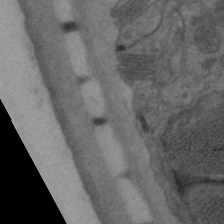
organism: C. elegans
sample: Pharynx